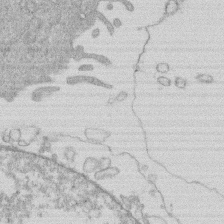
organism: Human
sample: Macrophage cells